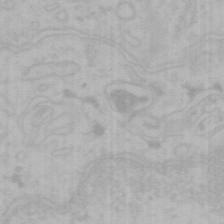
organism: Mouse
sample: Choroid plexus